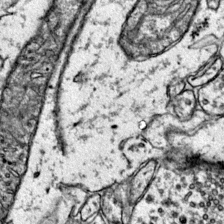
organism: Mouse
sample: Primary visual cortex